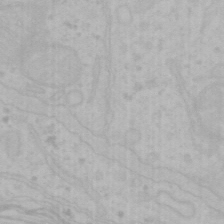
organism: Mouse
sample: Choroid plexus